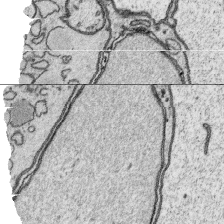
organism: Platynereis dumerilii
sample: Parapodia